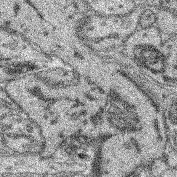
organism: Mouse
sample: Retina